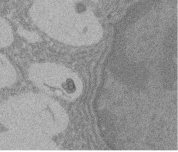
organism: Rat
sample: Salivary granule